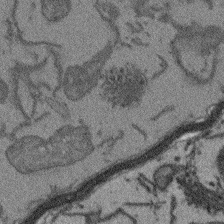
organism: Arabidopsis thaliana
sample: Root tip